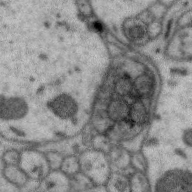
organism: Zebra finch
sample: Brain